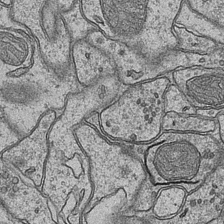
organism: Mouse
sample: CA1 Hippocampus